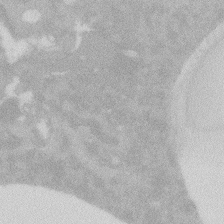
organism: Zebrafish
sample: Macrophage